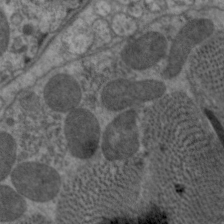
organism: C. elegans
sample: Pharynx